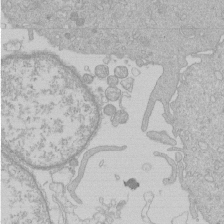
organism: Human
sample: Macrophage cells